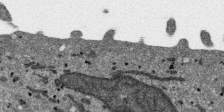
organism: Human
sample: Lung epithelial cells, uninfected (mock) control